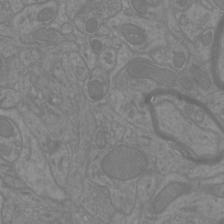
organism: Mouse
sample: Cortical neurons